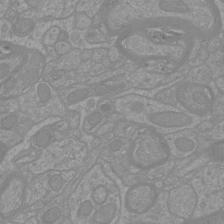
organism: Mouse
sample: Cortical neurons